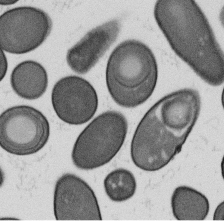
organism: B. subtilis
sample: Bacterial spore